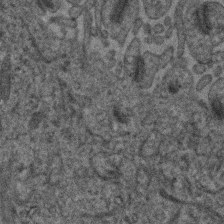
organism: Human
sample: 1205lu cells